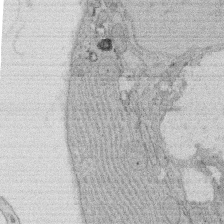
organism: Rat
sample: Salivary granule